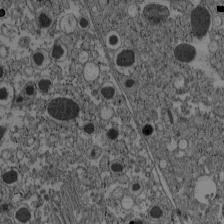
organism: C57BL Mouse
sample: Pancreatic islet